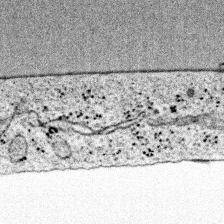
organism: Human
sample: HeLa cells